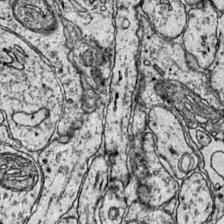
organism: Mouse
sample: Primary visual cortex